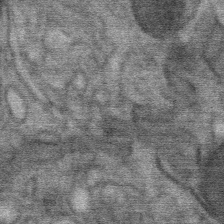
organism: Mouse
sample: Mouse Salivary gland